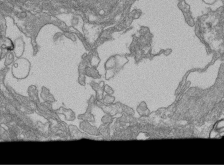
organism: Human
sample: Retinal organoid Rod and Cone cells